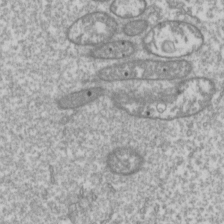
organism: Drosophila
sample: Cell division; meiosis; drosophila spermatocytes